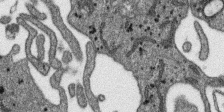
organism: Human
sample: Lung epithelial cells infected with SARS-CoV-2